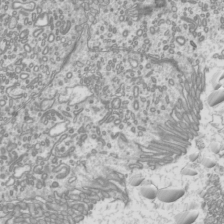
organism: Mouse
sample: Cilia; mouse epididymis